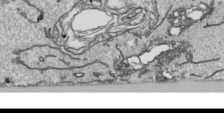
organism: Human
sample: Mitochondria in HCT116 cells